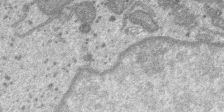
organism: Human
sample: Lung epithelial cells infected with SARS-CoV-2